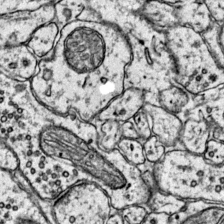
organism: Mouse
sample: Primary visual cortex